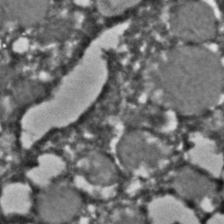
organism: C. elegans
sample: C. elegans embryo